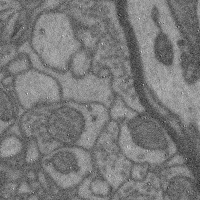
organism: Mouse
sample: Cerebral cortex